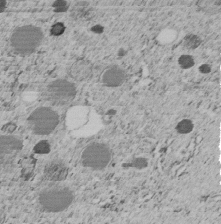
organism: C. elegans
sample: C. elegans embryo early stage